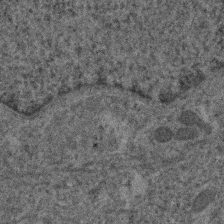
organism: Human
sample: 1205lu cells